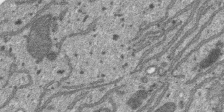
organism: Human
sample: Lung epithelial cells infected with SARS-CoV-2